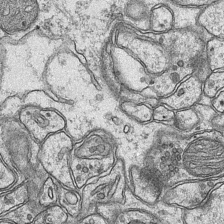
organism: Mouse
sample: CA1 Hippocampus